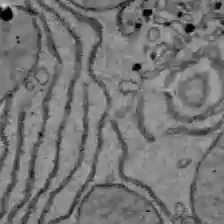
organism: C57BL Mouse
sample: Liver